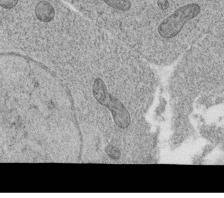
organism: C. elegans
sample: C. elegans oocyte; sperm cells